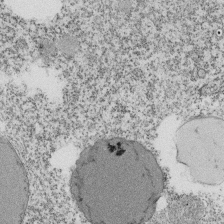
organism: Tetrahymena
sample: Cilia in tetrahymena